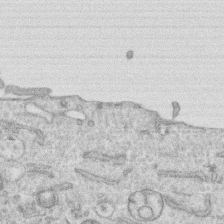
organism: Human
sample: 1205lu cells